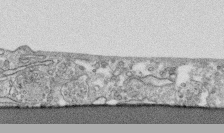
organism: Human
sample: CRL-1474